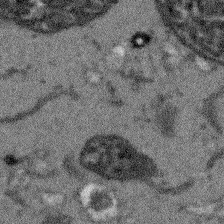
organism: Arabidopsis thaliana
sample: Root tip